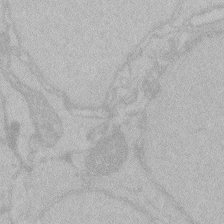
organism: Zebrafish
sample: Macrophage infected with Toxoplasma gondii